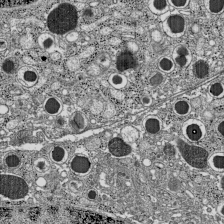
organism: C57BL Mouse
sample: Pancreatic islet